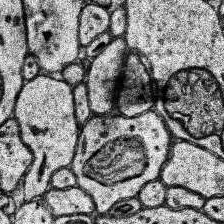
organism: Human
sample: Temporal Lobe